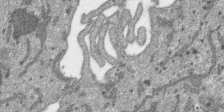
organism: Human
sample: Lung epithelial cells infected with SARS-CoV-2